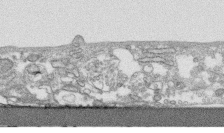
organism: Human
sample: CRL-1474